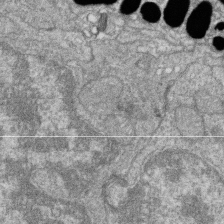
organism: Zebrafish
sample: Cilia; retinal pigment epithelium